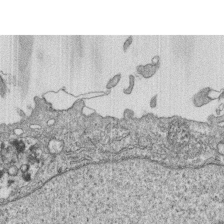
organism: Human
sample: HeLa cell HIV synapse